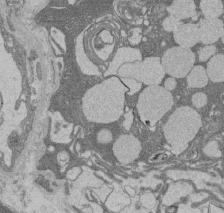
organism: Rat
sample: Salivary granule